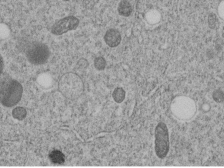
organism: C. elegans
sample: C. elegans embryo early stage